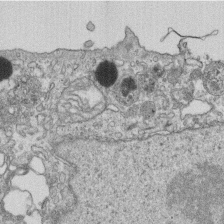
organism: Human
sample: HeLa cell HIV synapse